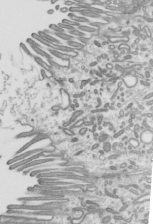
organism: Mouse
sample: Mouse epididymis efferent ductule cilia